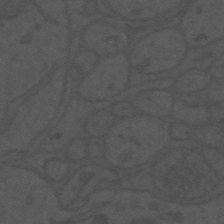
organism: Mouse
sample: Suprachiasmatic nucleus